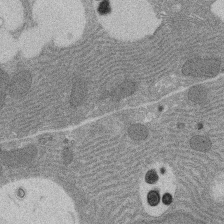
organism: Rat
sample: Salivary granule